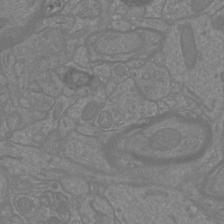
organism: Mouse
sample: Cortical neurons